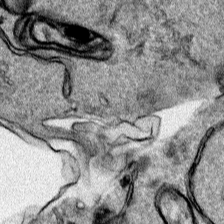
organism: Human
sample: Mitochondria in HCT116 cells